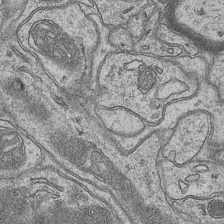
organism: Mouse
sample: CA1 Hippocampus